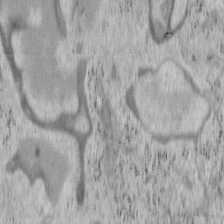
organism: Human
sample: HeLa cells